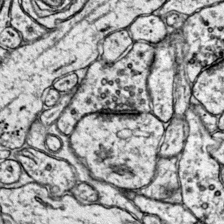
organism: Mouse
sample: Primary visual cortex